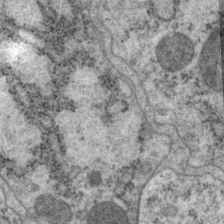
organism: P. pacificus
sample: Pharynx